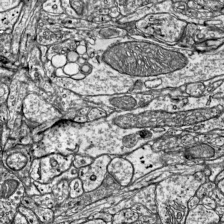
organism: Mouse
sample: Visual Cortex